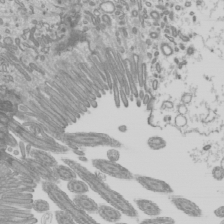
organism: Mouse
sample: Cilia; mouse epididymis